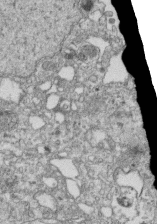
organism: Human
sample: HeLa cell HIV synapse